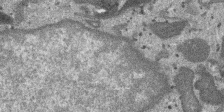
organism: Human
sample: Lung epithelial cells infected with SARS-CoV-2